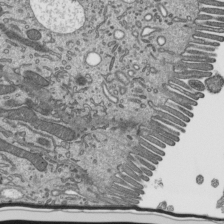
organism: Mouse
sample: Mouse epididymis efferent ductule cilia